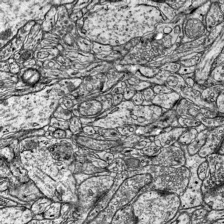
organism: Mouse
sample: Visual Cortex